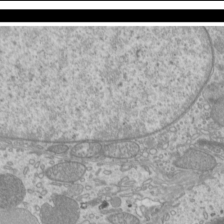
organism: Mouse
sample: Cilia; mouse epididymis